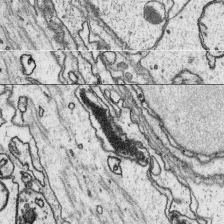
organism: Platynereis dumerilii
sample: Parapodia